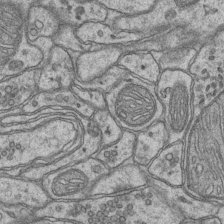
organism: Mouse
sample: CA1 Hippocampus